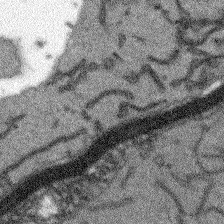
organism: Arabidopsis thaliana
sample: Root tip